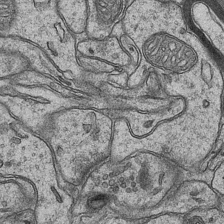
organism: Mouse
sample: CA1 Hippocampus